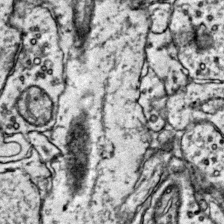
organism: Mouse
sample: Primary visual cortex